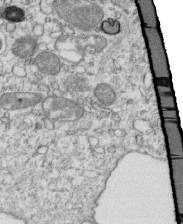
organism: Mouse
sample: Activated OT-1 CD8+ T cells